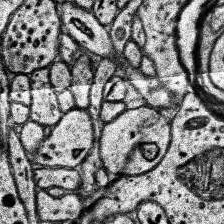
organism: Human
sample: Temporal Lobe